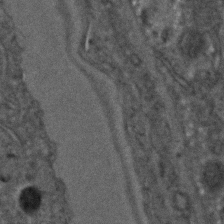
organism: C. elegans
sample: C. elegans embryo